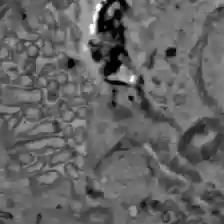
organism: C57BL Mouse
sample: Liver